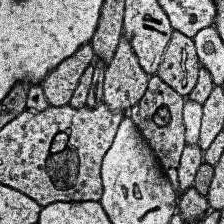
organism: Human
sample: Temporal Lobe